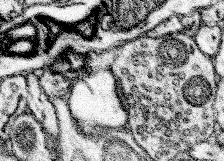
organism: Mouse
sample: Somatosensory cortex neuropil